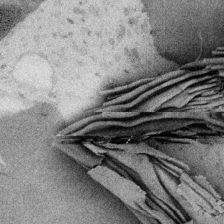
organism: Embia sp.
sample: Silk gland